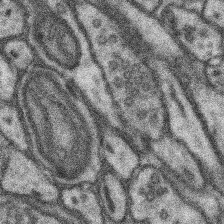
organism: Mouse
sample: Somatosensory cortex neuropil